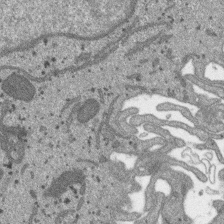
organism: Human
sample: Lung epithelial cells infected with SARS-CoV-2